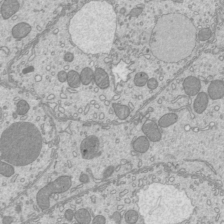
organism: Mouse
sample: Cilia; mouse epididymis